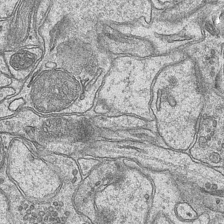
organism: Mouse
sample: CA1 Hippocampus